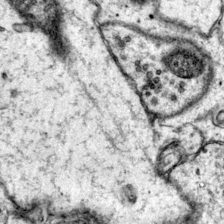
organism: Mouse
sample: Primary visual cortex